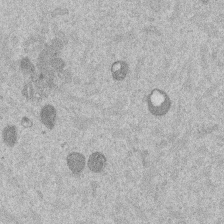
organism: Mouse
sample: Dividing mouse embryo 1 cell stage